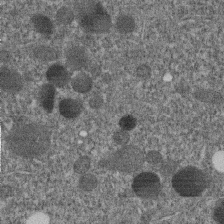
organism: C. elegans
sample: C. elegans embryo early stage